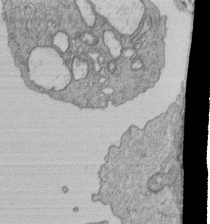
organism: Human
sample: Retinal organoid Rod and Cone cells